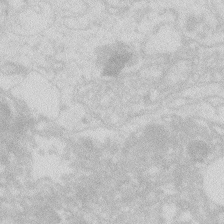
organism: Zebrafish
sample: Macrophage